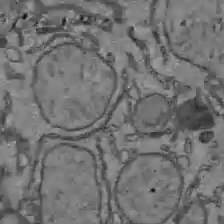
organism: C57BL Mouse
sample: Liver